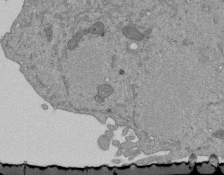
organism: Mouse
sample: ED-1 cell nuclei; centrioles